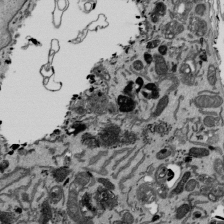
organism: Mouse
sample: ED-1 cell nuclei; centrioles